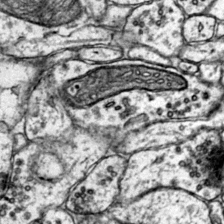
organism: Mouse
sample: Primary visual cortex